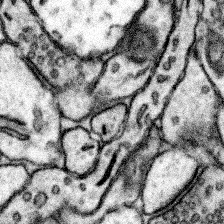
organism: Mouse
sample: Somatosensory cortex neuropil